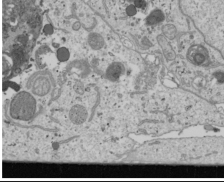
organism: Human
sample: Mitochondria in U2OS cells